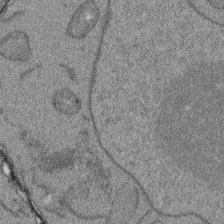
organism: Arabidopsis thaliana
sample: Root tip